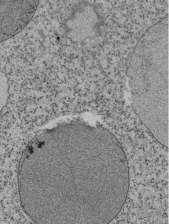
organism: Tetrahymena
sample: Cilia in tetrahymena